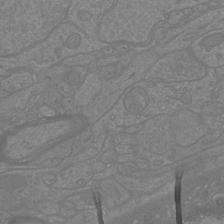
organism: Mouse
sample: Cortical neurons